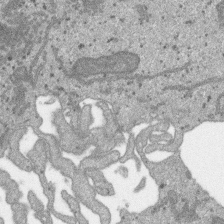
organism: Human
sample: Lung epithelial cells infected with SARS-CoV-2